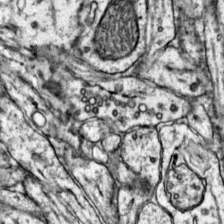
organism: Mouse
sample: Primary visual cortex